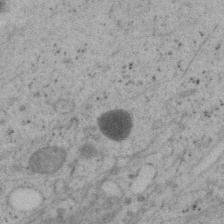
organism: Human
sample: HeLa cells